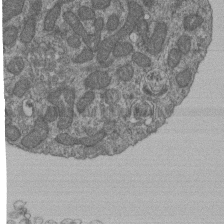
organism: Human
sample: Retinal organoid Rod and Cone cells